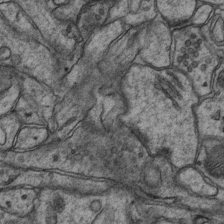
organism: Mouse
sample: CA1 Hippocampus